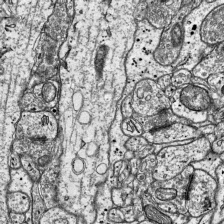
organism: Mouse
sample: Visual Cortex